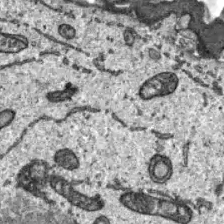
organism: Human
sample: HeLa cells